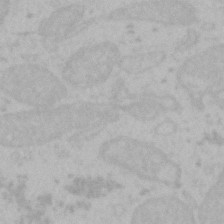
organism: Mouse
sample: Choroid plexus